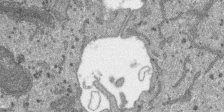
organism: Human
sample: Lung epithelial cells infected with SARS-CoV-2